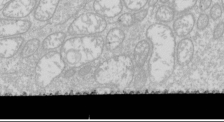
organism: Drosophila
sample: Cell division; meiosis; drosophila spermatocytes